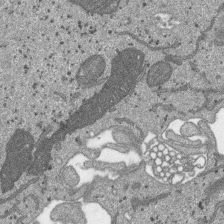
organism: Human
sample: Lung epithelial cells infected with SARS-CoV-2